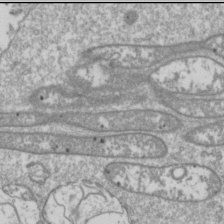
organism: Drosophila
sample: Cell division; meiosis; drosophila spermatocytes